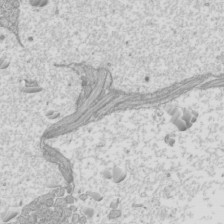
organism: Mouse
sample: Cilia; mouse epididymis